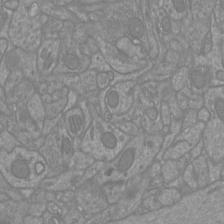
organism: Mouse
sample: Cortical neurons